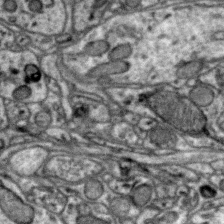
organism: Zebra finch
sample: Brain